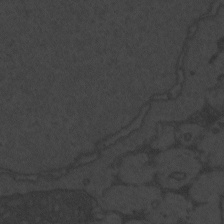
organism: Zebrafish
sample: Macrophage infected with Toxoplasma gondii